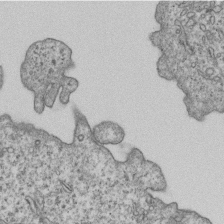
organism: Human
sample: MDA-MB-231 cells